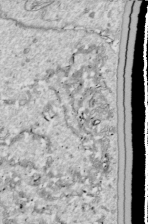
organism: Drosophila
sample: Cell division; meiosis; drosophila spermatocytes